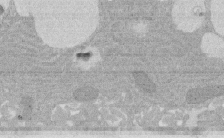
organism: Rat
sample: Salivary granule